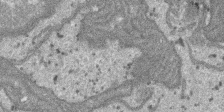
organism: Human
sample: Lung epithelial cells infected with SARS-CoV-2